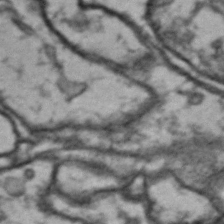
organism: Drosophila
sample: Brain